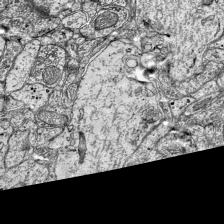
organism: Mouse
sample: Visual Cortex